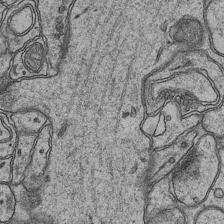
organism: Mouse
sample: CA1 Hippocampus